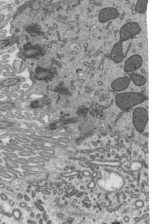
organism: Mouse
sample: Mouse epididymis efferent ductule cilia